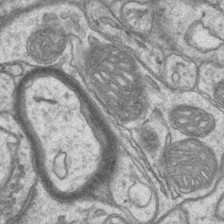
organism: Mouse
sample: CA1 Hippocampus